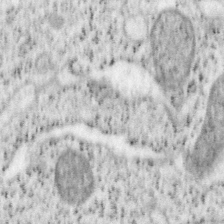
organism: Mouse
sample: OT-I killer T cells with ID8 ovarian cancer cells